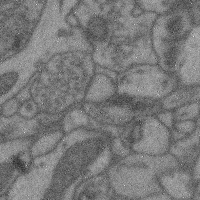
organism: Mouse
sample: Cerebral cortex